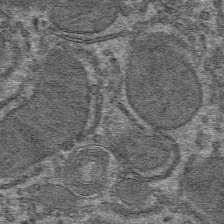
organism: Mouse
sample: Mouse hepatocytes